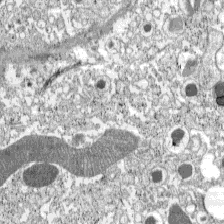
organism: C57BL Mouse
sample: Pancreatic islet